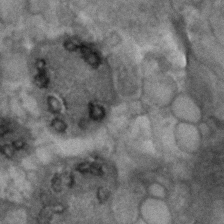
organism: Human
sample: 1205lu cells